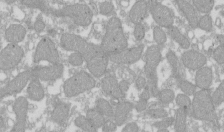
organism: Xenopus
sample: Cilia; centrioles in frog embryo cells